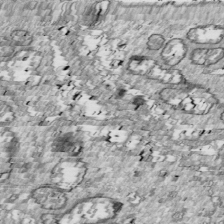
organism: Drosophila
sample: Cell division; meiosis; drosophila spermatocytes